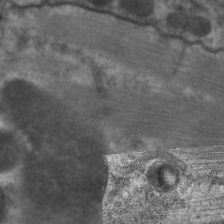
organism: C. elegans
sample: Pharynx